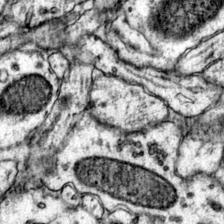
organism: Mouse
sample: Primary visual cortex